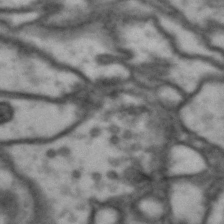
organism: Drosophila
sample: Brain